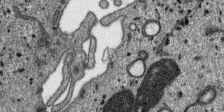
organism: Human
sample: Lung epithelial cells infected with SARS-CoV-2